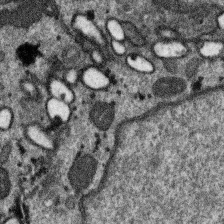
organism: Human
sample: Lung epithelial cells infected with SARS-CoV-2